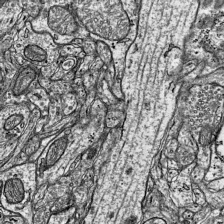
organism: Mouse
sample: Visual Cortex